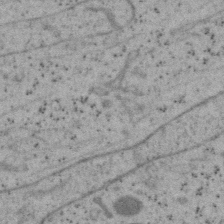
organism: Human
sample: HeLa cells